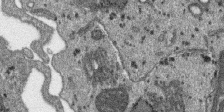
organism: Human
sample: Lung epithelial cells infected with SARS-CoV-2